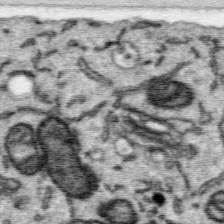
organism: Human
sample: HeLa cells